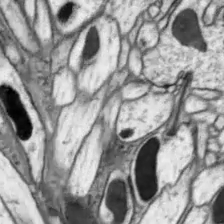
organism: Drosophila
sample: Optic lobe